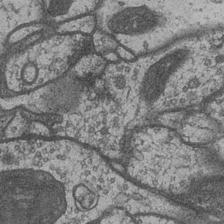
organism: Drosophila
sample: Optic medulla